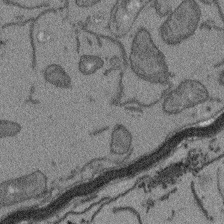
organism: Arabidopsis thaliana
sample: Root tip